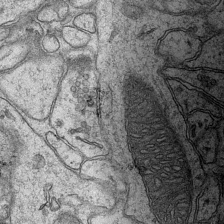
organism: Mouse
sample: CA1 Hippocampus